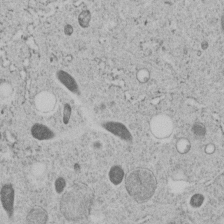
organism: C. elegans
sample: C. elegans embryo early stage